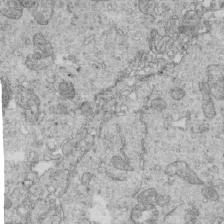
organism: Mouse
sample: Multiciliated cells